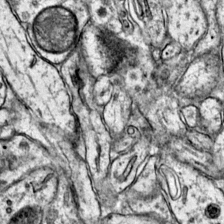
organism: Mouse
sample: Primary visual cortex